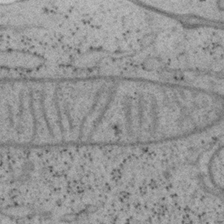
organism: Human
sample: HeLa cells